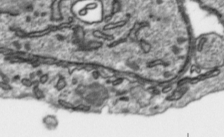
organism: Toxoplasma gondii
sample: Parasites in a vacuole inside a host cell